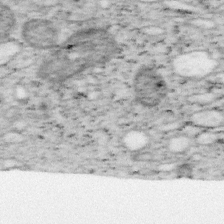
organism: Mouse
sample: OT-I killer T cells with ID8 ovarian cancer cells